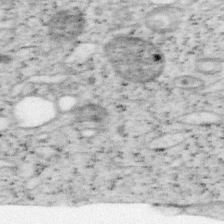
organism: Mouse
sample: OT-I killer T cells with ID8 ovarian cancer cells